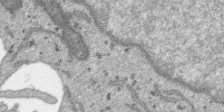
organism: Human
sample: Lung epithelial cells infected with SARS-CoV-2